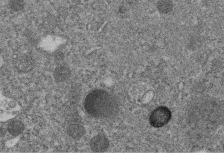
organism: C. elegans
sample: C. elegans embryo early stage